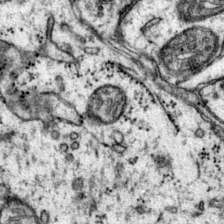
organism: Mouse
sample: Primary visual cortex